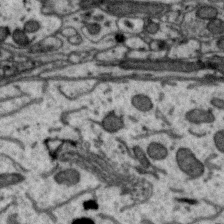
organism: Zebra finch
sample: Brain